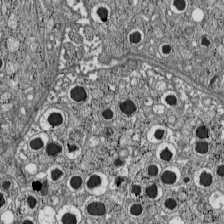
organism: C57BL Mouse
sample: Pancreatic islet